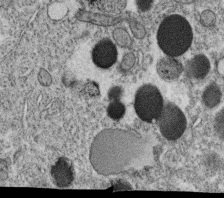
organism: C. elegans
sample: C. elegans oocyte; sperm cells